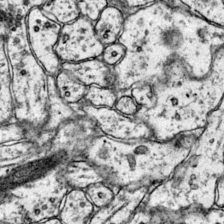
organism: Mouse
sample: Primary visual cortex